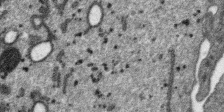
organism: Human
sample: Lung epithelial cells infected with SARS-CoV-2